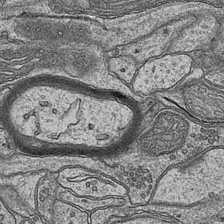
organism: Mouse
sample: CA1 Hippocampus